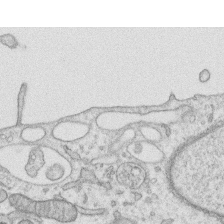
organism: Human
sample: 1205lu cells